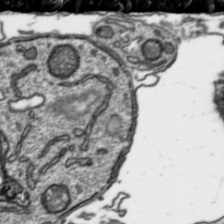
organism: Toxoplasma gondii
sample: Parasites in a vacuole inside a host cell